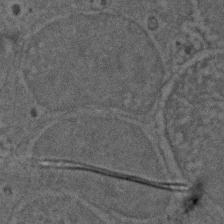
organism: Zebrafish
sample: Zebrafish embryo